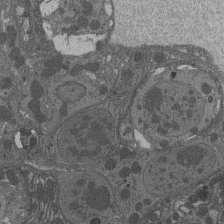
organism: Drosophila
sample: Antenna